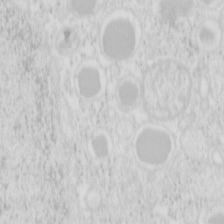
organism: Mouse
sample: Pancreas